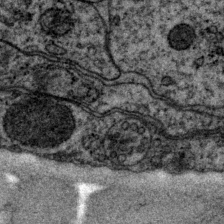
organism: P. pacificus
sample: Pharynx